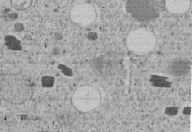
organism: C. elegans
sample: C. elegans embryo early stage